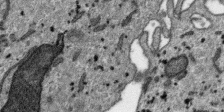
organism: Human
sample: Lung epithelial cells, uninfected (mock) control